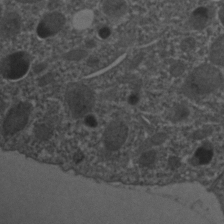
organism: C. elegans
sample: C. elegans embryo